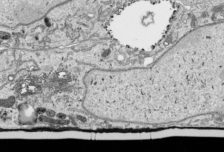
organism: Human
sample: Mitochondria in HCT116 cells